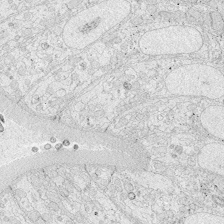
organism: Zebrafish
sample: Whole-Brain